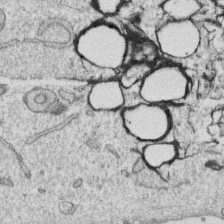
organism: Human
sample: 1205lu cells